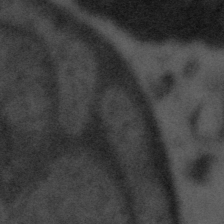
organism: Tuwongella immobilis